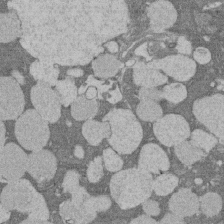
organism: Rat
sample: Salivary granule